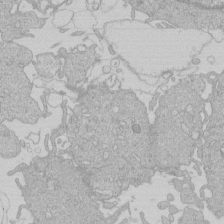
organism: Human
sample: Macrophage cells